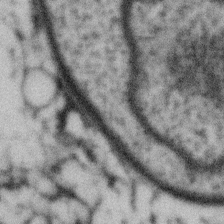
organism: Gemmata obscuriglobus